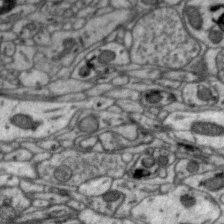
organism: Zebra finch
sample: Brain